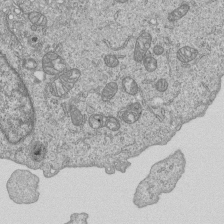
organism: Human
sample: MDA-MB-231 cells